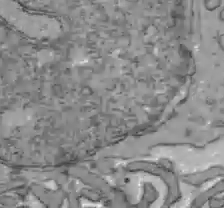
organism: C57BL Mouse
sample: Liver